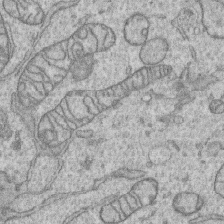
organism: Human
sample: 1205lu cells